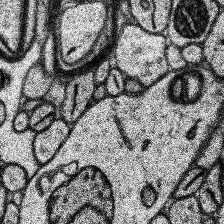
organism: Human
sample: Temporal Lobe